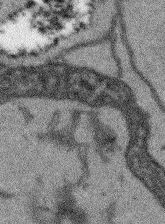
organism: Arabidopsis thaliana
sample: Root tip